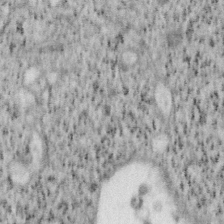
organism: Mouse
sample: OT-I killer T cells with ID8 ovarian cancer cells